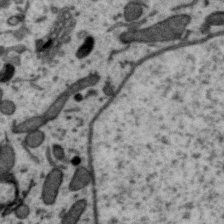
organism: Zebra finch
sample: Brain